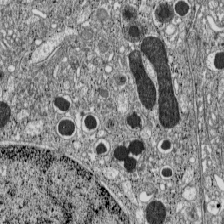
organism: C57BL Mouse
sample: Pancreatic islet